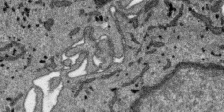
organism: Human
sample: Lung epithelial cells, uninfected (mock) control